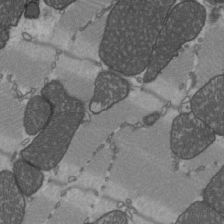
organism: C57BL Mouse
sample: Heart